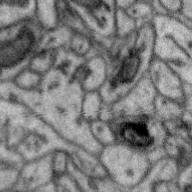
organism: Zebra finch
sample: Brain